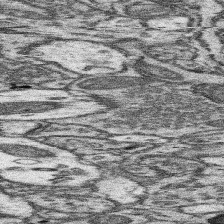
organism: Mouse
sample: Somatosensory cortex neuropil